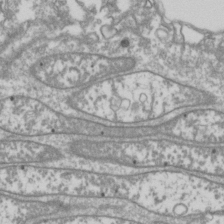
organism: Drosophila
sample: Cell division; meiosis; drosophila spermatocytes